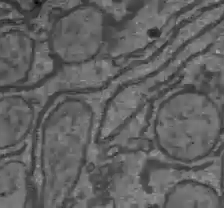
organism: C57BL Mouse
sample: Liver